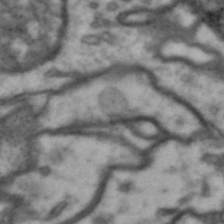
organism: Drosophila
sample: Brain